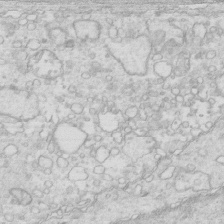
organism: Mouse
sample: Multiciliated cells